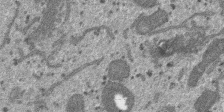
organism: Human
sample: Lung epithelial cells infected with SARS-CoV-2